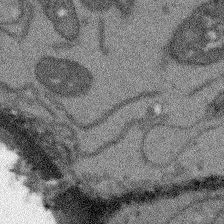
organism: Arabidopsis thaliana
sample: Root tip